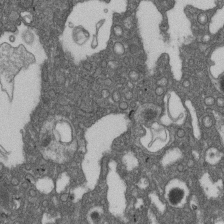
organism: Drosophila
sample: Nephrocyte